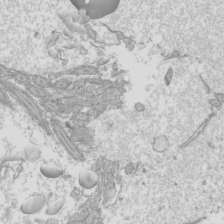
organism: Mouse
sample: Cilia; mouse epididymis